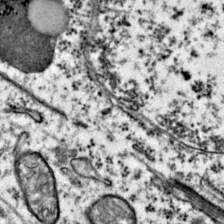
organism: Mouse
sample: Primary visual cortex